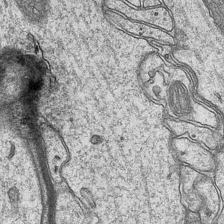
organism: Mouse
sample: CA1 Hippocampus